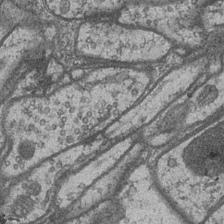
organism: Drosophila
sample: Optic medulla